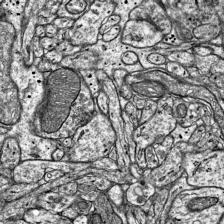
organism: Mouse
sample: Visual Cortex